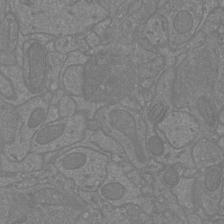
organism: Mouse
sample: Cortical neurons